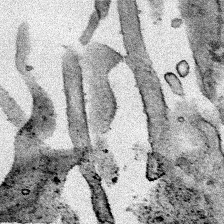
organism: Human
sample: Mitochondria in HCT116 cells